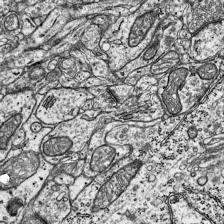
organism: Mouse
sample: Visual Cortex